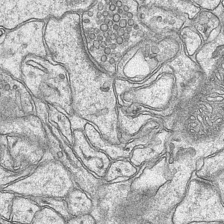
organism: Mouse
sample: CA1 Hippocampus